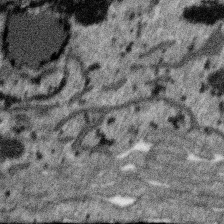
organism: Human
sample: Lung epithelial cells infected with SARS-CoV-2